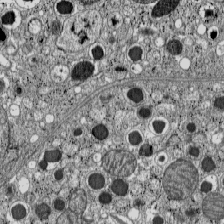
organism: C57BL Mouse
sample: Pancreatic islet